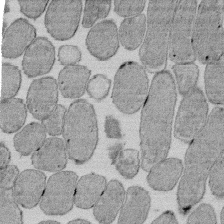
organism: E. coli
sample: Bacterial nucleoid